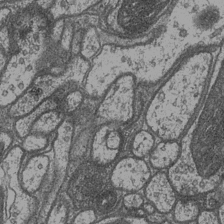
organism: Drosophila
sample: Optic medulla